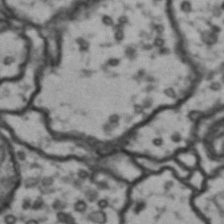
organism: Drosophila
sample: Brain